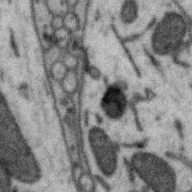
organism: Zebra finch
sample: Brain